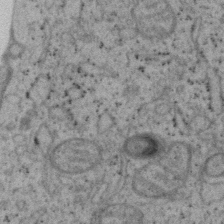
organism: Human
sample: HeLa cells